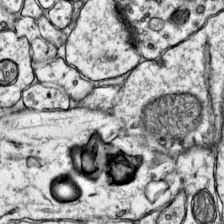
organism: Mouse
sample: Primary visual cortex